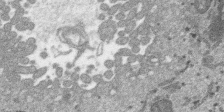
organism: Human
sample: Lung epithelial cells infected with SARS-CoV-2